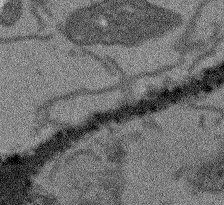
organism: Arabidopsis thaliana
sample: Root tip